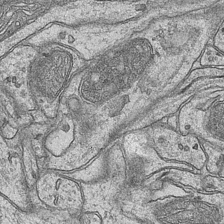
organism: Mouse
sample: CA1 Hippocampus